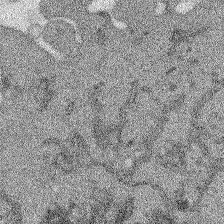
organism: Human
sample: HeLa cells